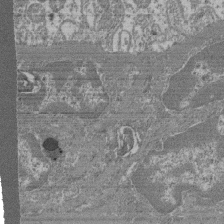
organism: Mouse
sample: Glomerulus